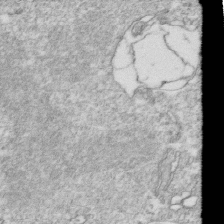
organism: Mouse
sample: Activated OT-1 CD8+ T cells